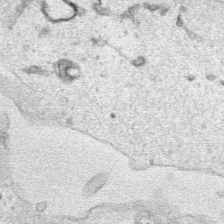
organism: Human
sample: Mitochondria in HCT116 cells